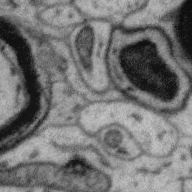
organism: Zebra finch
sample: Brain